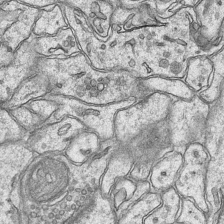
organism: Mouse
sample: CA1 Hippocampus